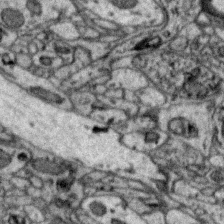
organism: Zebra finch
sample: Brain